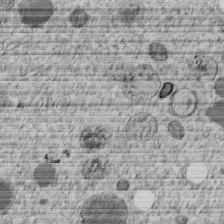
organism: C. elegans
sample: C. elegans embryo early stage